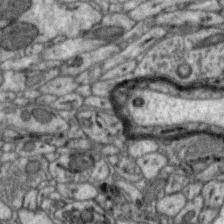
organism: Zebra finch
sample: Brain